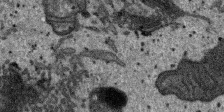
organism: Human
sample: Lung epithelial cells, uninfected (mock) control